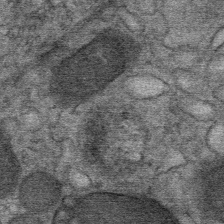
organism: Mouse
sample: Mouse Salivary gland